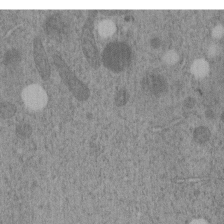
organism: C. elegans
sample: C. elegans embryo early stage